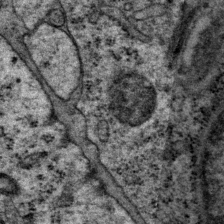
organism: P. pacificus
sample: Pharynx